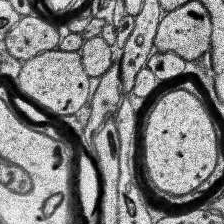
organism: Human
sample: Temporal Lobe